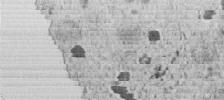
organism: C. elegans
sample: C. elegans embryo early stage